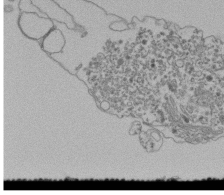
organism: Human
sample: Retinal organoid Rod and Cone cells